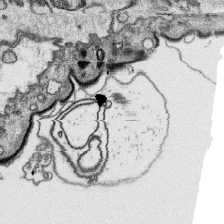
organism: Platynereis dumerilii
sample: Parapodia